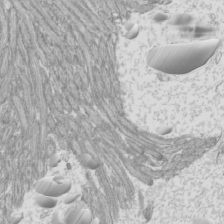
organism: Mouse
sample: Cilia; mouse epididymis